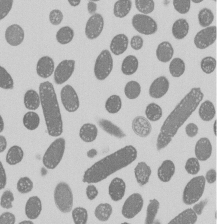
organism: E. coli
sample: Bacterial nucleoid